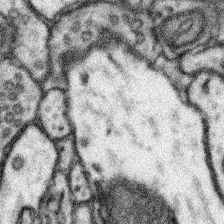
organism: Mouse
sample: Somatosensory cortex neuropil